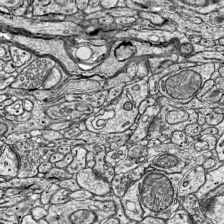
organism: Mouse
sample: Visual Cortex